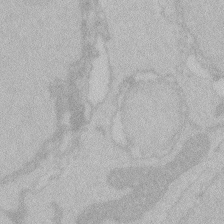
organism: Zebrafish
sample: Macrophage infected with Toxoplasma gondii